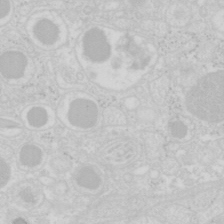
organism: Mouse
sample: Pancreas